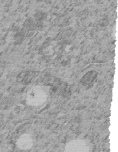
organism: C. elegans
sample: C. elegans embryo early stage